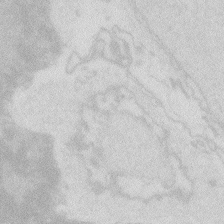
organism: Zebrafish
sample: Macrophage